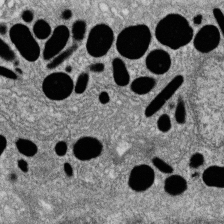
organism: Zebrafish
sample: Cilia; retinal pigment epithelium